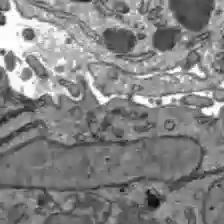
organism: C57BL Mouse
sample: Liver